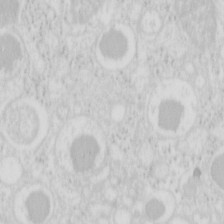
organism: Mouse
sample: Pancreas